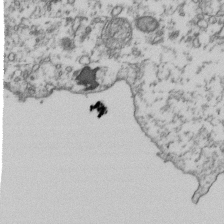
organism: Human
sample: Activated Jurkat CD4+ T cells